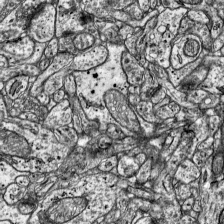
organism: Mouse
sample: Visual Cortex